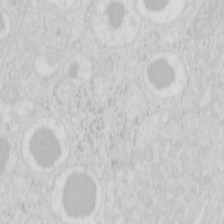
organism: Mouse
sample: Pancreas